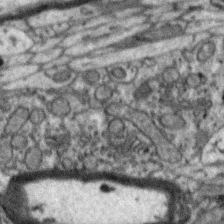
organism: Zebra finch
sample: Brain